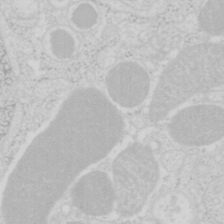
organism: Mouse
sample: Pancreas